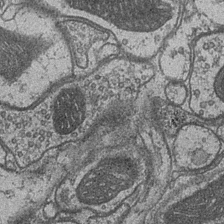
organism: Drosophila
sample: Optic medulla